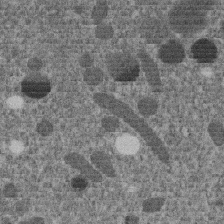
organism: C. elegans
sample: C. elegans embryo early stage